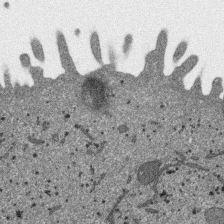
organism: Human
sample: Lung epithelial cells infected with SARS-CoV-2